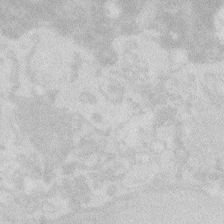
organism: Zebrafish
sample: Macrophage